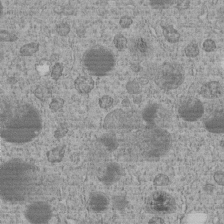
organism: C. elegans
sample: C. elegans embryo early stage